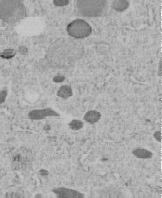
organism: C. elegans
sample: C. elegans embryo early stage